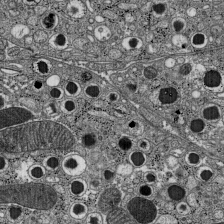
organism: C57BL Mouse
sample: Pancreatic islet